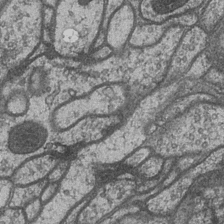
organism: Drosophila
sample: Optic medulla